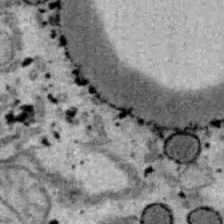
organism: Mouse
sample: Liver from an obese (ob/ob) mouse